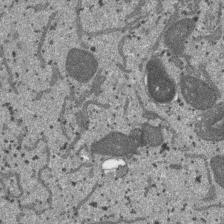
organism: Human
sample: Lung epithelial cells infected with SARS-CoV-2